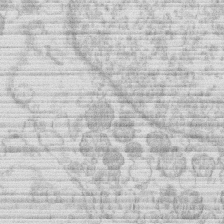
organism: Human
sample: Macrophage cells